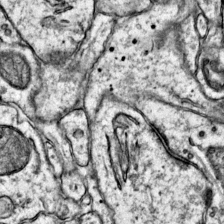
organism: Mouse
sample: Primary visual cortex